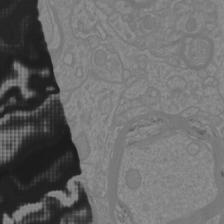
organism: Mouse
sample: Cortical neurons